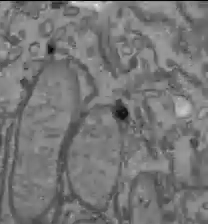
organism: C57BL Mouse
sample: Liver